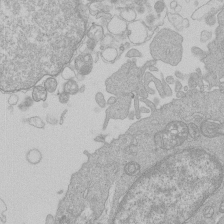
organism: Human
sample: Macrophage cells